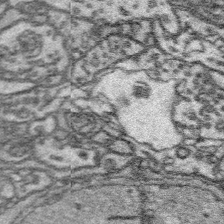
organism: Platynereis dumerilii